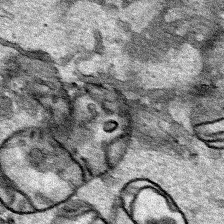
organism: Human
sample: Mitochondria in HCT116 cells